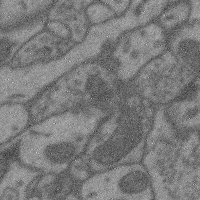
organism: Mouse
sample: Cerebral cortex